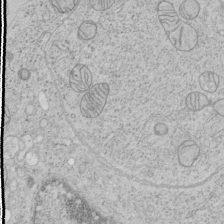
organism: Human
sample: Mitochondria in HCT116 cells